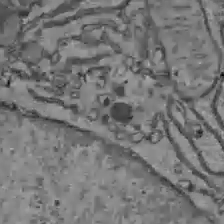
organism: C57BL Mouse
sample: Liver